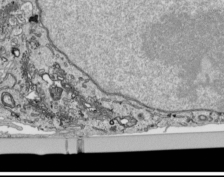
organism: Human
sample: Mitochondria in HCT116 cells